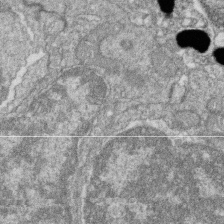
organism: Zebrafish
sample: Cilia; retinal pigment epithelium